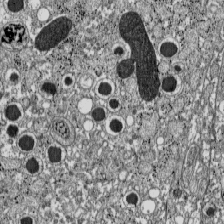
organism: C57BL Mouse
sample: Pancreatic islet